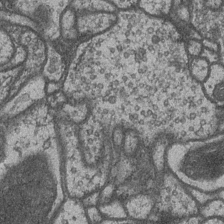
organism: Drosophila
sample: Optic medulla